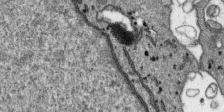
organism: Human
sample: Lung epithelial cells, uninfected (mock) control